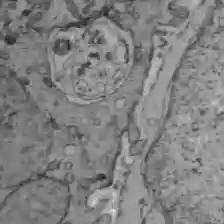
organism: C57BL Mouse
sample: Liver